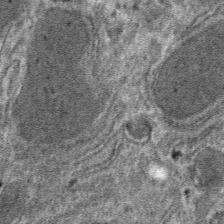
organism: Mouse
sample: Mouse hepatocytes